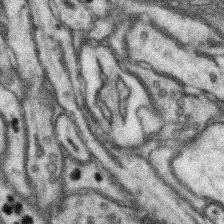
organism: Mouse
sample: Somatosensory cortex neuropil